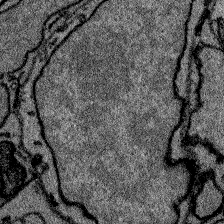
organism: Zebrafish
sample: Larval olfactory bulb